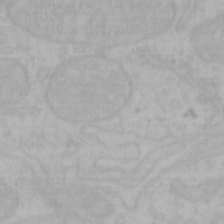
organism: Mouse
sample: Choroid plexus